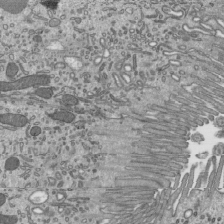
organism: Mouse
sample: Mouse epididymis efferent ductule cilia